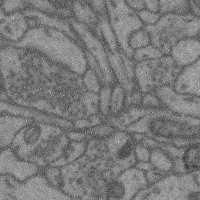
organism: Mouse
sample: Cerebral cortex